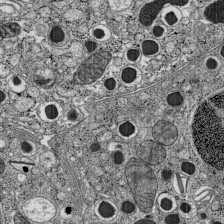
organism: C57BL Mouse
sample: Pancreatic islet